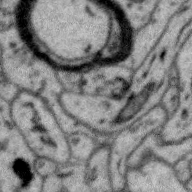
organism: Zebra finch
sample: Brain